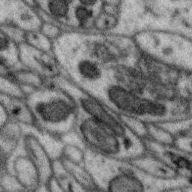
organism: Zebra finch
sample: Brain